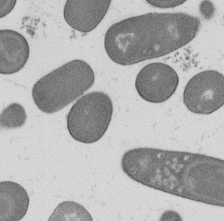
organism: B. subtilis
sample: Bacterial spore